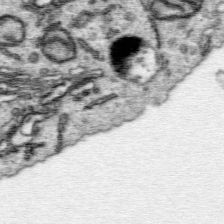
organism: Human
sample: HeLa cells